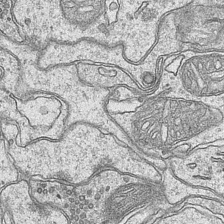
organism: Mouse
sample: CA1 Hippocampus